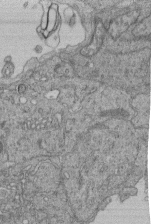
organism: Human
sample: Retinal organoid Rod and Cone cells